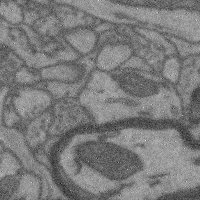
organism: Mouse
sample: Cerebral cortex